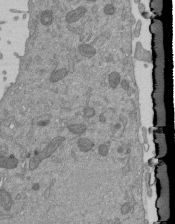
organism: Mouse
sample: ED-1 cell nuclei; centrioles